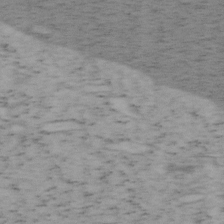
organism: Mouse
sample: OT-I killer T cells with ID8 ovarian cancer cells